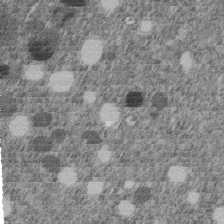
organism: C. elegans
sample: C. elegans embryo early stage